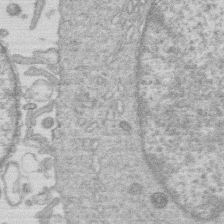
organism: Human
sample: Macrophage cells